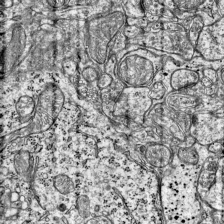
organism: Mouse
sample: Visual Cortex